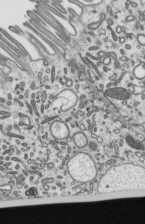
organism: Mouse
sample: Mouse epididymis efferent ductule cilia